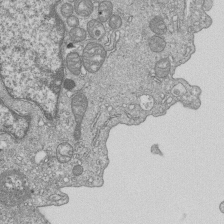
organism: Human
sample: MDA-MB-231 cells